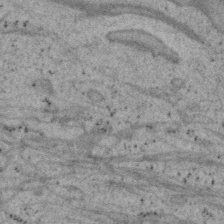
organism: Human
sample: HeLa cells